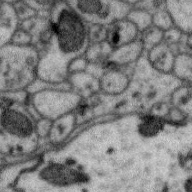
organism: Zebra finch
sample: Brain